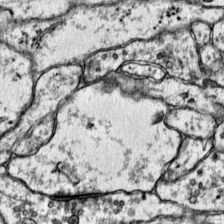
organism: Mouse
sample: Primary visual cortex